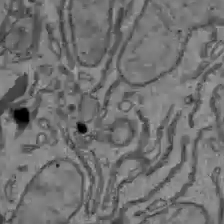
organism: C57BL Mouse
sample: Liver